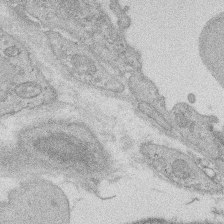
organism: Rat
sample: Salivary granule